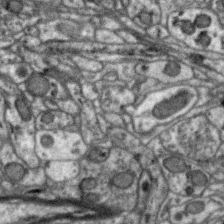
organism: Zebra finch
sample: Brain